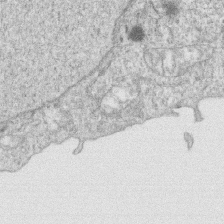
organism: Human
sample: HeLa cell HIV synapse